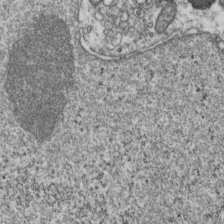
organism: Human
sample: Activated Jurkat CD4+ T cells